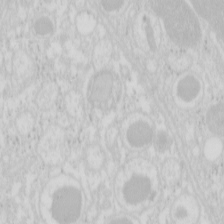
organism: Mouse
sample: Pancreas